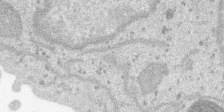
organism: Human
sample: Lung epithelial cells infected with SARS-CoV-2